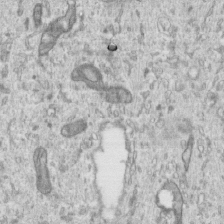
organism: Human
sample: Centriole in RPE cells